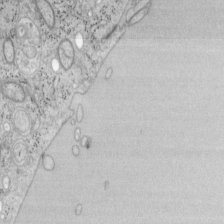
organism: Mouse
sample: OT-I killer T cells with ID8 ovarian cancer cells